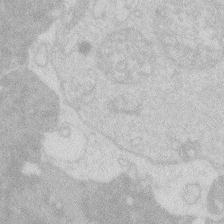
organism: Zebrafish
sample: Macrophage